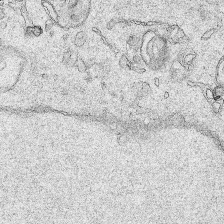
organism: Human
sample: Mitochondria in HCT116 cells